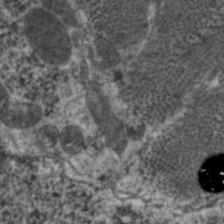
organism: C. elegans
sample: Pharynx